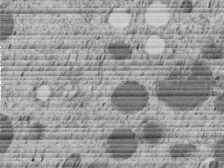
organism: C. elegans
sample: C. elegans embryo early stage